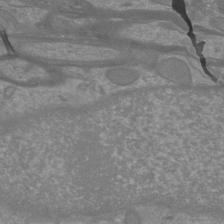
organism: Mouse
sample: Cortical neurons